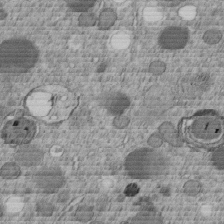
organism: C. elegans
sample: C. elegans embryo early stage